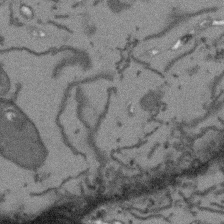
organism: Arabidopsis thaliana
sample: Root tip